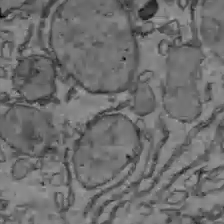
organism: C57BL Mouse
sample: Liver